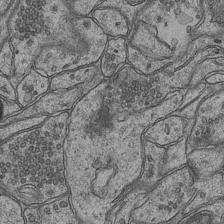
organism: Mouse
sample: CA1 Hippocampus